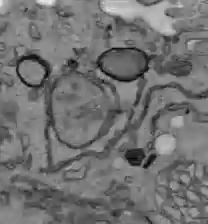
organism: C57BL Mouse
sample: Liver